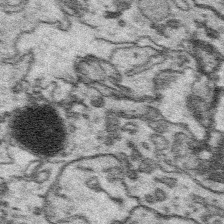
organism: Platynereis dumerilii